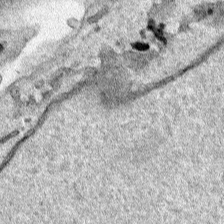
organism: Human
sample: Mitochondria in HCT116 cells